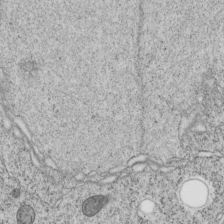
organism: C. elegans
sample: C. elegans embryo early stage